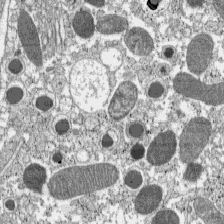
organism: C57BL Mouse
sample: Pancreatic islet